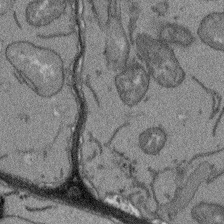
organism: Arabidopsis thaliana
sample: Root tip